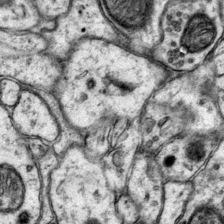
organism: Mouse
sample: Primary visual cortex